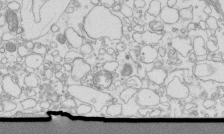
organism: Mouse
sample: Macrophages